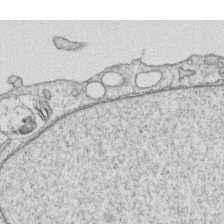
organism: Human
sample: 1205lu cells